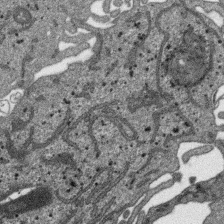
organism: Human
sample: Lung epithelial cells infected with SARS-CoV-2